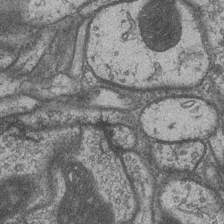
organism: Drosophila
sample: Optic medulla